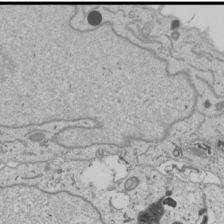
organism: Human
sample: Mitochondria in U2OS cells